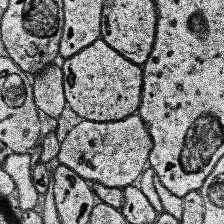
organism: Human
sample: Temporal Lobe